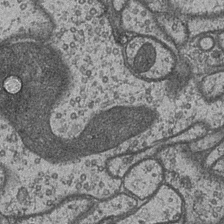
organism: Drosophila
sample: Optic medulla